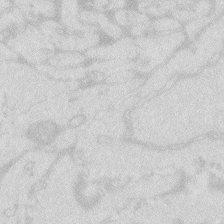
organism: Zebrafish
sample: Macrophage